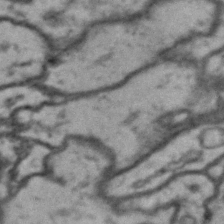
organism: Drosophila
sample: Brain